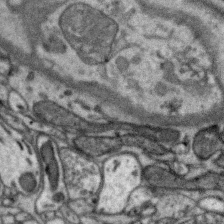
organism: Zebra finch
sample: Brain